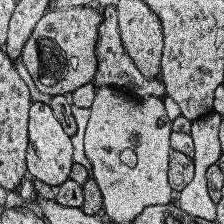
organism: Human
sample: Temporal Lobe